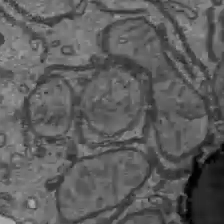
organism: C57BL Mouse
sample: Liver